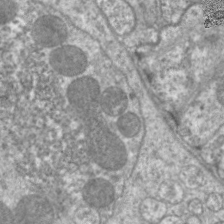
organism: C. elegans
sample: Pharynx